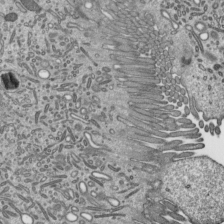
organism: Mouse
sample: Mouse epididymis efferent ductule cilia